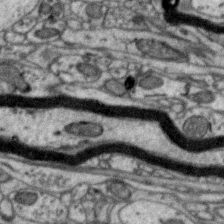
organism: Zebra finch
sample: Brain